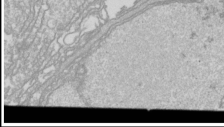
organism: Drosophila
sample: Cell division; meiosis; drosophila spermatocytes